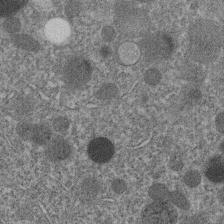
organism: C. elegans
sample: C. elegans embryo early stage